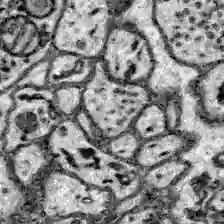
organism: Zebrafish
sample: Brain